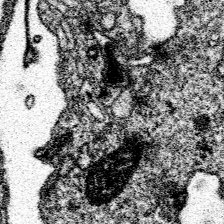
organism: Spongilla lacustris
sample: Neuroid cell